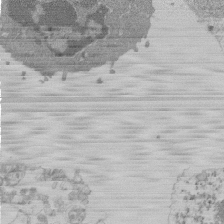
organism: Mouse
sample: Activated Pmel transgenic CD8+ T Cells